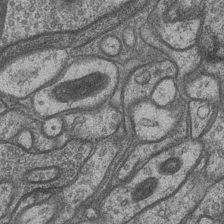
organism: Drosophila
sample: Optic medulla